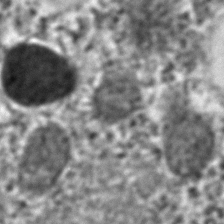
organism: C. elegans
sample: C. elegans embryo